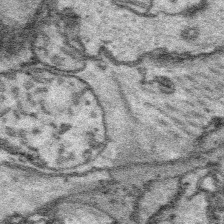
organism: Platynereis dumerilii